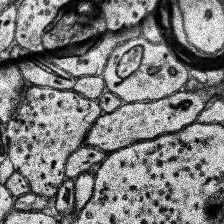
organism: Human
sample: Temporal Lobe